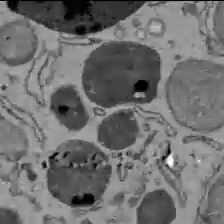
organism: C57BL Mouse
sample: Liver